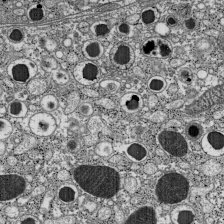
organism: C57BL Mouse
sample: Pancreatic islet